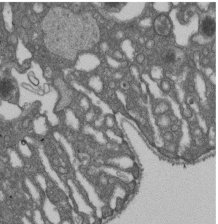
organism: Drosophila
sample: Nephrocyte